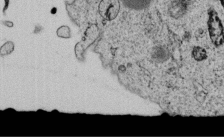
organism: C. elegans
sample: C. elegans embryo early stage